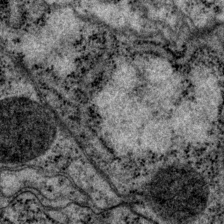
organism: P. pacificus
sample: Pharynx